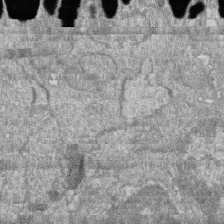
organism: Zebrafish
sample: Cilia; retinal pigment epithelium